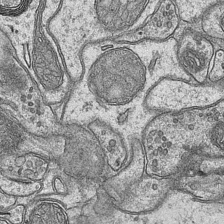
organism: Mouse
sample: CA1 Hippocampus